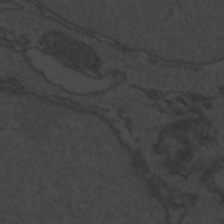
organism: Zebrafish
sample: Macrophage infected with Toxoplasma gondii